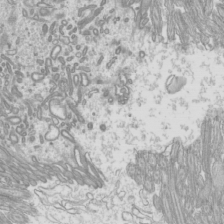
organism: Mouse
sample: Cilia; mouse epididymis